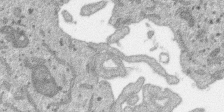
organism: Human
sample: Lung epithelial cells infected with SARS-CoV-2